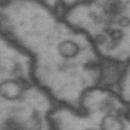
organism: Drosophila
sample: Brain